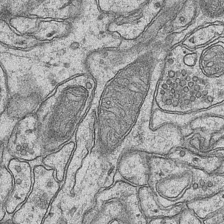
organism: Mouse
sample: CA1 Hippocampus